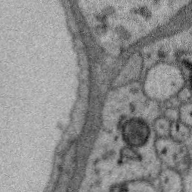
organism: Zebra finch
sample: Brain